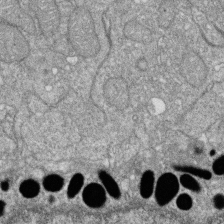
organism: Zebrafish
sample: Cilia; retinal pigment epithelium